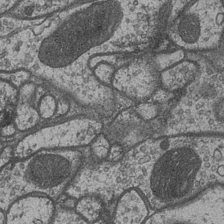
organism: Drosophila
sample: Optic medulla